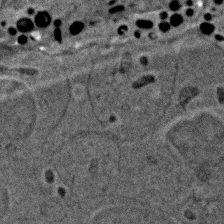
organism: Zebrafish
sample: Zebrafish embryo